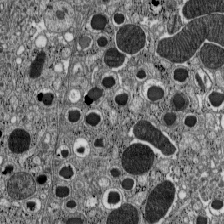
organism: C57BL Mouse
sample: Pancreatic islet